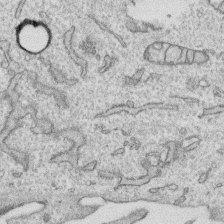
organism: Human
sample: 1205lu cells